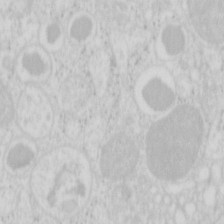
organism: Mouse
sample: Pancreas